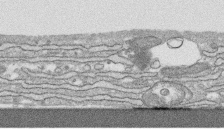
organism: Human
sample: CRL-1474